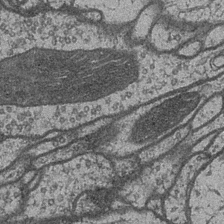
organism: Drosophila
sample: Optic medulla